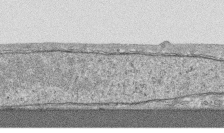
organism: Human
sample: CRL-1474